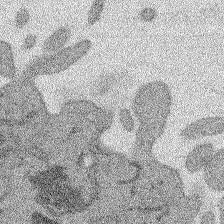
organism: Human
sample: HeLa cells